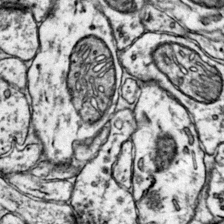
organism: Mouse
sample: Primary visual cortex